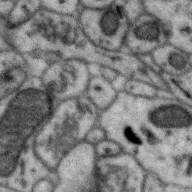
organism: Zebra finch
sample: Brain